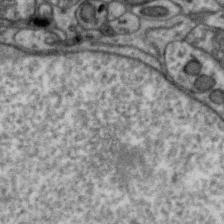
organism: Zebra finch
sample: Brain